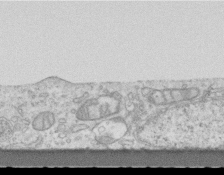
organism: Mouse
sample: Centriole in ependymal cells